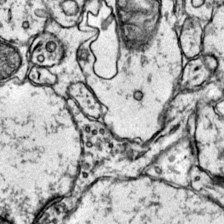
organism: Mouse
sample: Primary visual cortex